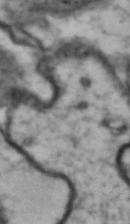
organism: Drosophila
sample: Brain